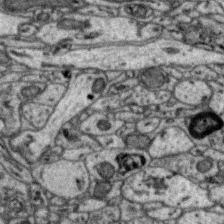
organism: Zebra finch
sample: Brain